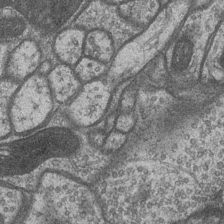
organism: Drosophila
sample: Optic medulla